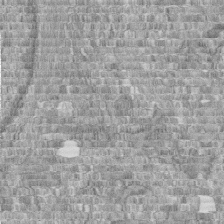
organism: Human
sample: Centriole in fibroblast cells